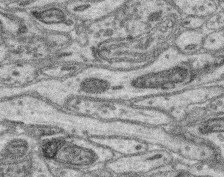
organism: Mouse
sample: Retina